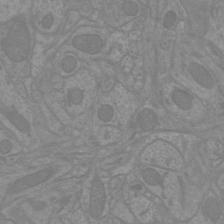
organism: Mouse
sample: Cortical neurons